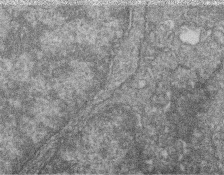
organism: Zebrafish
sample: Cilia; retinal pigment epithelium